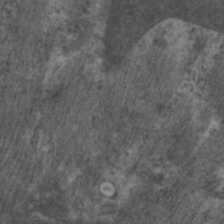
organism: C. elegans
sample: Pharynx